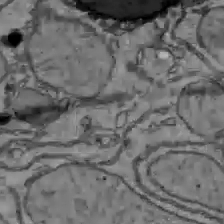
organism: C57BL Mouse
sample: Liver